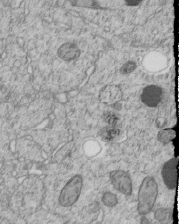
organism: C. elegans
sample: C. elegans embryo early stage